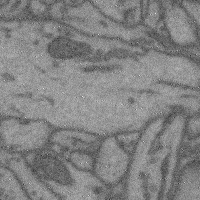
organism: Mouse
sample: Cerebral cortex